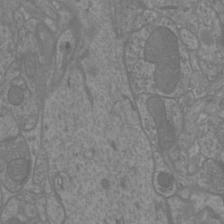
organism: Mouse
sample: Cortical neurons